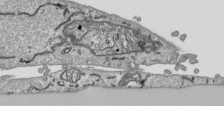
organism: Human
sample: Mitochondria in HCT116 cells